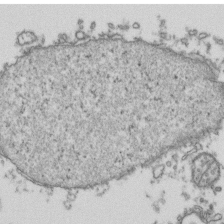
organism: Human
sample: Activated Jurkat CD4+ T cells